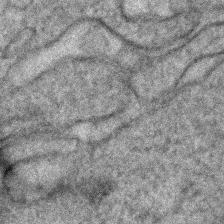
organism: Human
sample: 1205lu cells